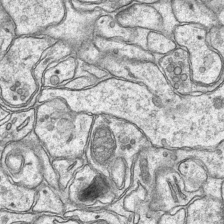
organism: Mouse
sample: CA1 Hippocampus